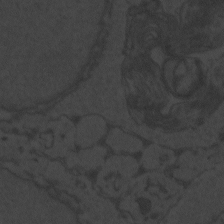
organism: Zebrafish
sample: Macrophage infected with Toxoplasma gondii